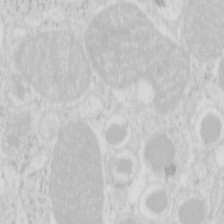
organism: Mouse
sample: Pancreas